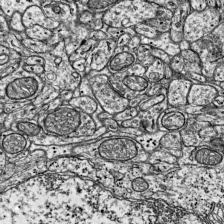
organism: Mouse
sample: Visual Cortex